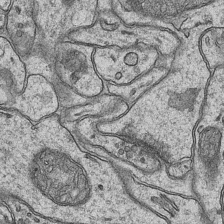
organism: Mouse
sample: CA1 Hippocampus